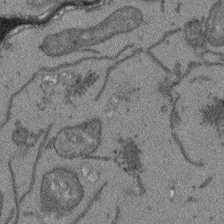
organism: Arabidopsis thaliana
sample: Root tip